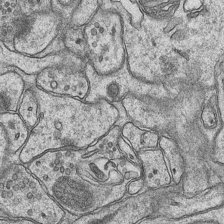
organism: Mouse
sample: CA1 Hippocampus